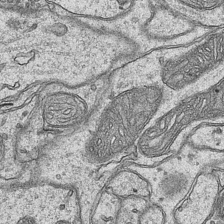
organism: Mouse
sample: CA1 Hippocampus